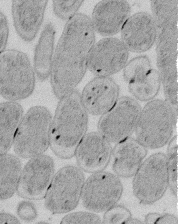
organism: E. coli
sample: Bacterial nucleoid